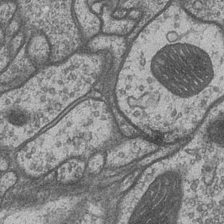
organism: Drosophila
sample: Optic medulla